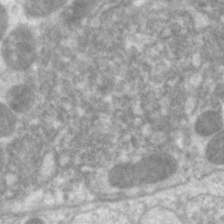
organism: C. elegans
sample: Pharynx